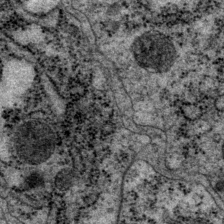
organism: P. pacificus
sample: Pharynx